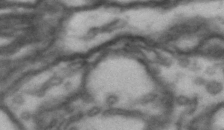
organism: Drosophila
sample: Brain